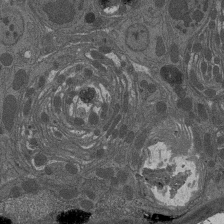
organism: Drosophila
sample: Antenna